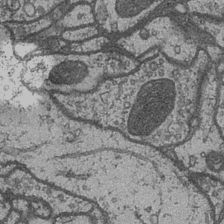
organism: Drosophila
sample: Optic medulla